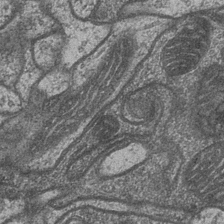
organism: Drosophila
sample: Optic medulla